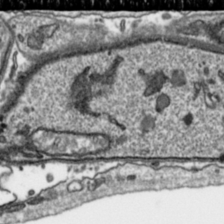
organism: Toxoplasma gondii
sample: Parasites in a vacuole inside a host cell